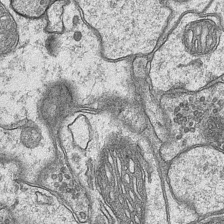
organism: Mouse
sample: CA1 Hippocampus